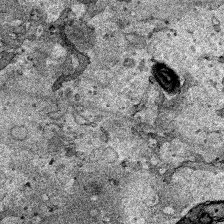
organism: Human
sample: Mitochondria in HCT116 cells